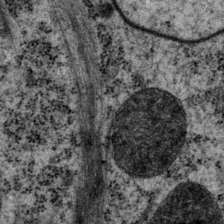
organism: P. pacificus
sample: Pharynx